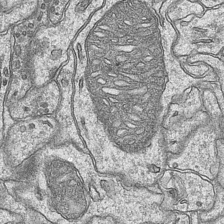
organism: Mouse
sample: CA1 Hippocampus